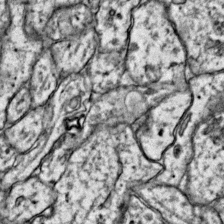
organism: Mouse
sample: Primary visual cortex